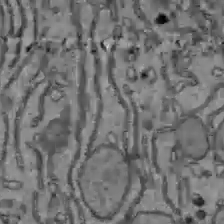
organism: C57BL Mouse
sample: Liver